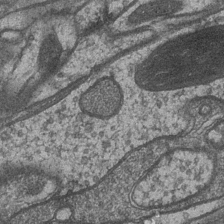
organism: Drosophila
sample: Optic medulla